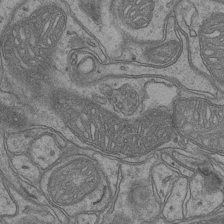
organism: Mouse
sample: CA1 Hippocampus